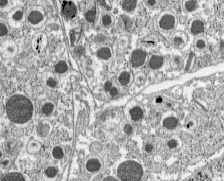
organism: C57BL Mouse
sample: Pancreatic islet